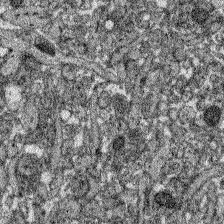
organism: Zebrafish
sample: Larval olfactory bulb